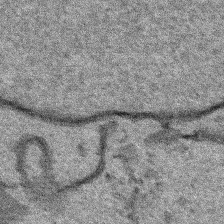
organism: Human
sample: Mitochondria in HCT116 cells